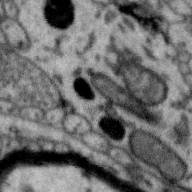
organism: Zebra finch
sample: Brain